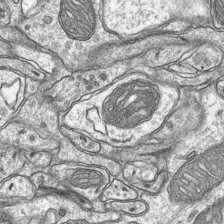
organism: Mouse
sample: CA1 Hippocampus